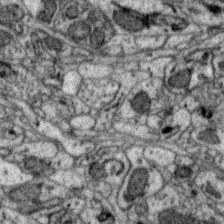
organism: Zebra finch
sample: Brain